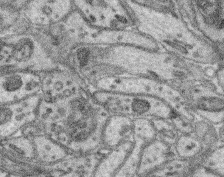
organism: Mouse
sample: Retina